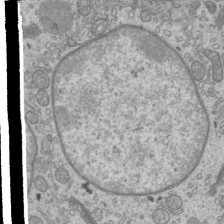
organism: Mouse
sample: Cilia; mouse epididymis